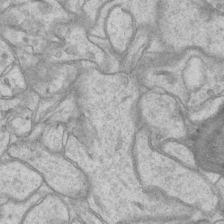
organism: Mouse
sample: CA1 Hippocampus